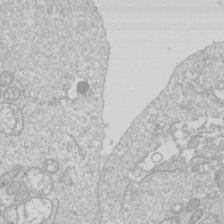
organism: Drosophila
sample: Cell division; meiosis; drosophila spermatocytes